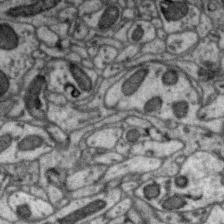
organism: Zebra finch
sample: Brain